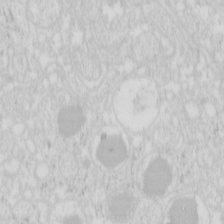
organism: Mouse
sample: Pancreas